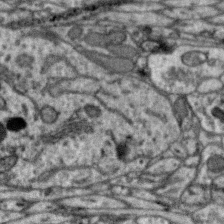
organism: Zebra finch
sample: Brain